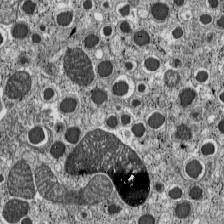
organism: C57BL Mouse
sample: Pancreatic islet